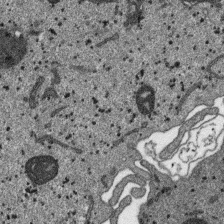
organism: Human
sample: Lung epithelial cells infected with SARS-CoV-2